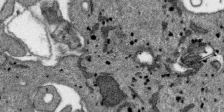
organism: Human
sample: Lung epithelial cells, uninfected (mock) control